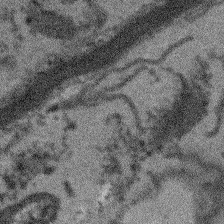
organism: Arabidopsis thaliana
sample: Root tip